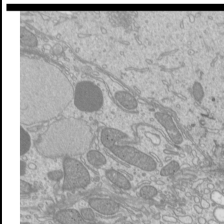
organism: Mouse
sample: Cilia; mouse epididymis